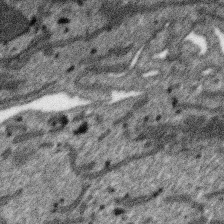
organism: Human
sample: Lung epithelial cells infected with SARS-CoV-2